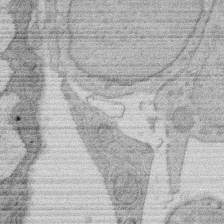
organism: Rat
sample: Salivary granule